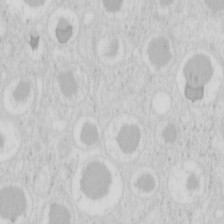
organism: Mouse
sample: Pancreas